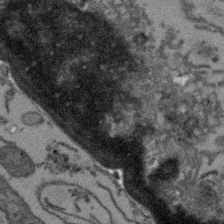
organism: Arabidopsis thaliana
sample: Root tip